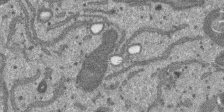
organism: Human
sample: Lung epithelial cells infected with SARS-CoV-2